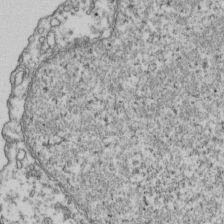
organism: Human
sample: Activated Jurkat CD4+ T cells